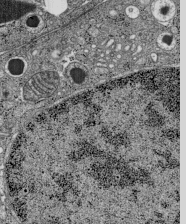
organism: C57BL Mouse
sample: Pancreatic islet